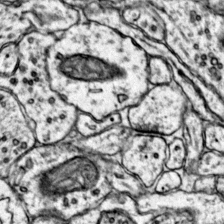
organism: Mouse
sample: Primary visual cortex